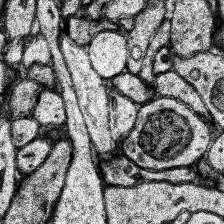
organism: Human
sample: Temporal Lobe